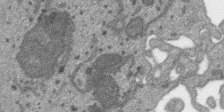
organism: Human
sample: Lung epithelial cells infected with SARS-CoV-2